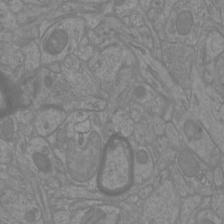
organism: Mouse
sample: Cortical neurons